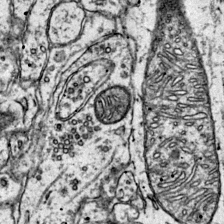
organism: Mouse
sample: Primary visual cortex